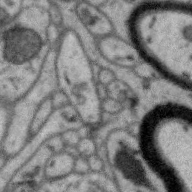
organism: Zebra finch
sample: Brain